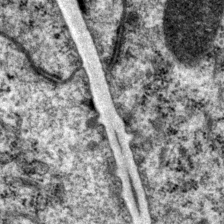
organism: P. pacificus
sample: Pharynx